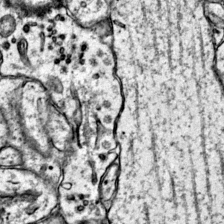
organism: Mouse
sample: Primary visual cortex